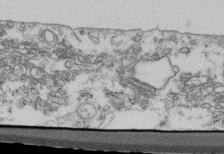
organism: Mouse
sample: Cilia; retinal pigment epithelium